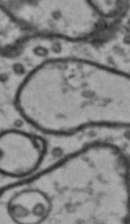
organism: Drosophila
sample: Brain